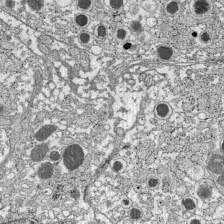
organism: C57BL Mouse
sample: Pancreatic islet